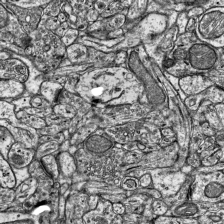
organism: Mouse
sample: Visual Cortex